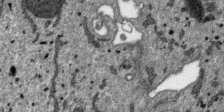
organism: Human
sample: Lung epithelial cells, uninfected (mock) control